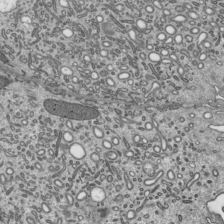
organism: Mouse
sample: Mouse epididymis efferent ductule cilia